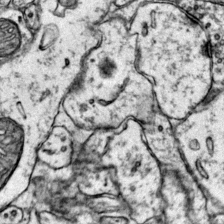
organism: Mouse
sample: Primary visual cortex